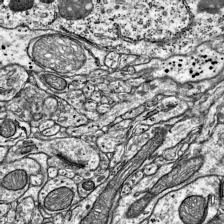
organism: Mouse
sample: Visual Cortex